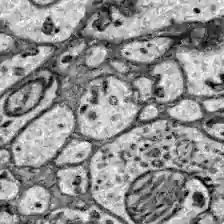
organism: Zebrafish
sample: Brain